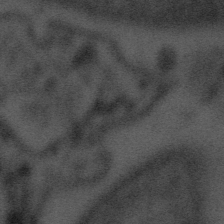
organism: Tuwongella immobilis